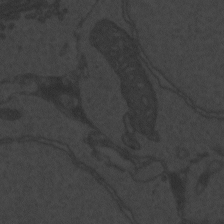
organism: Zebrafish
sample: Macrophage infected with Toxoplasma gondii